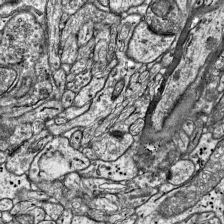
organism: Mouse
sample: Visual Cortex